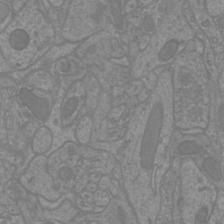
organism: Mouse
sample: Cortical neurons